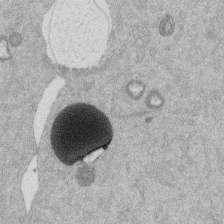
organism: Mouse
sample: Dividing mouse embryo 1 cell stage